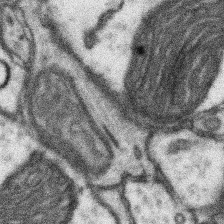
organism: Mouse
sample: Somatosensory cortex neuropil